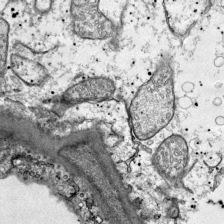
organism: Mouse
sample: Visual Cortex